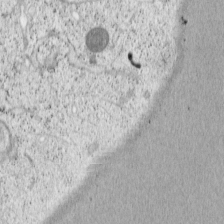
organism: African green monkey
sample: COS-7 cells